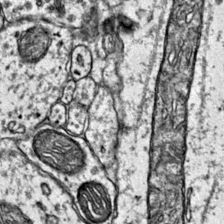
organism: Mouse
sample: Primary visual cortex